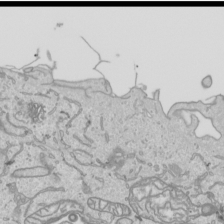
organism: Human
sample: Mitochondria in HCT116 cells